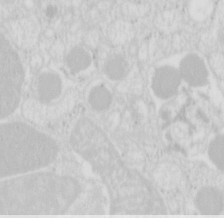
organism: Mouse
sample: Pancreas